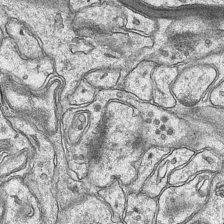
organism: Mouse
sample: CA1 Hippocampus